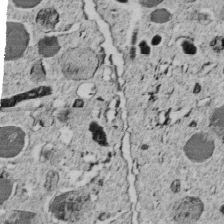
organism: C. elegans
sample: C. elegans embryo early stage